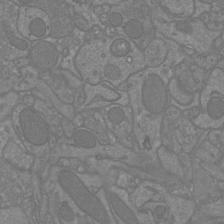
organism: Mouse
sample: Cortical neurons